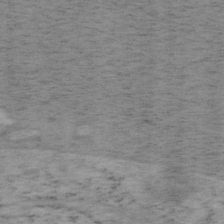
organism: Mouse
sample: OT-I killer T cells with ID8 ovarian cancer cells